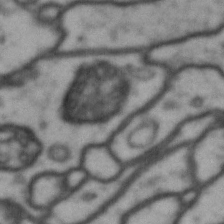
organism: Drosophila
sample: Brain